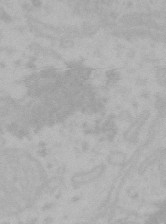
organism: Mouse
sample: Choroid plexus